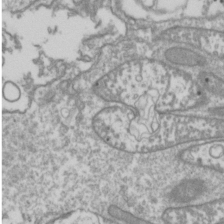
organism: Drosophila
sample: Cell division; meiosis; drosophila spermatocytes